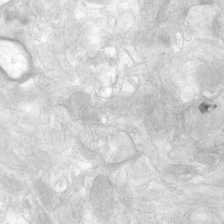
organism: Human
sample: Neocortex